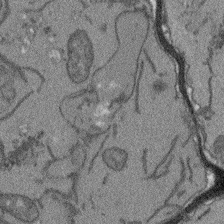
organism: Arabidopsis thaliana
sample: Root tip